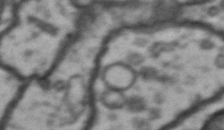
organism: Drosophila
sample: Brain